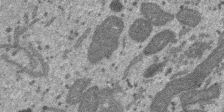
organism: Human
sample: Lung epithelial cells infected with SARS-CoV-2